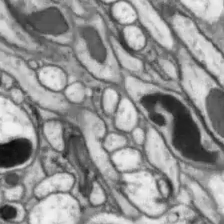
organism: Drosophila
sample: Optic lobe